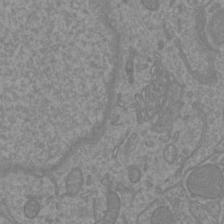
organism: Mouse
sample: Cortical neurons